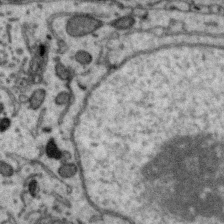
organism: Zebra finch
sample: Brain